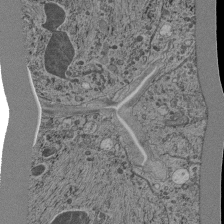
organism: C. elegans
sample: C. elegans pharynx